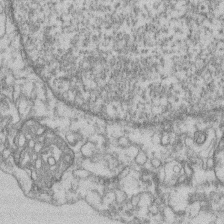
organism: Mouse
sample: T cell stromal cell synapse